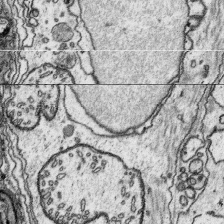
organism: Platynereis dumerilii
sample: Parapodia